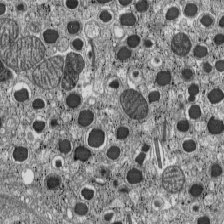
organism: C57BL Mouse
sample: Pancreatic islet